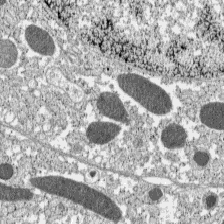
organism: C57BL Mouse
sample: Pancreatic islet